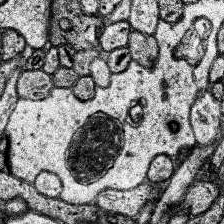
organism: Human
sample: Temporal Lobe